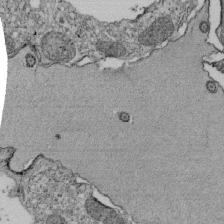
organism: Tetrahymena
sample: Cilia in tetrahymena